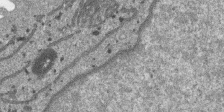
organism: Human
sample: Lung epithelial cells infected with SARS-CoV-2